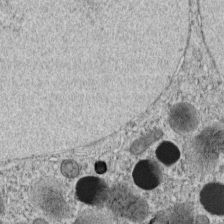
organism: C. elegans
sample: C. elegans embryo early stage